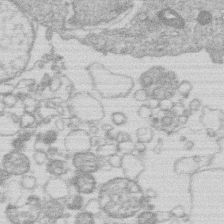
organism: Human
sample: Macrophage cells